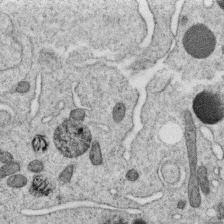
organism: C. elegans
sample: C. elegans oocyte; sperm cells